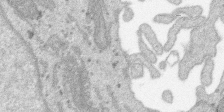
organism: Human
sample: Lung epithelial cells infected with SARS-CoV-2